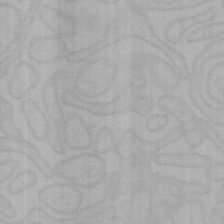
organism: Mouse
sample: Choroid plexus